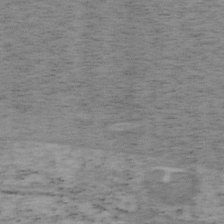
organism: Mouse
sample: OT-I killer T cells with ID8 ovarian cancer cells